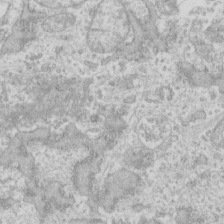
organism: Human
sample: Fibroblast cells